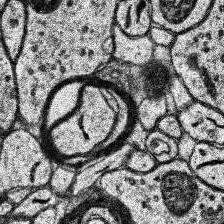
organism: Human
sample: Temporal Lobe